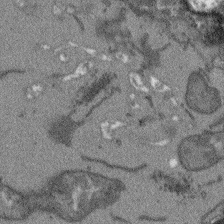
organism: Arabidopsis thaliana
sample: Root tip